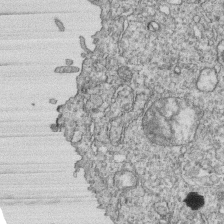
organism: Human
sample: HeLa cell HIV synapse